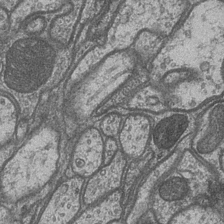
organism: Drosophila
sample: Optic medulla